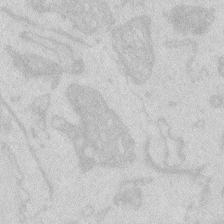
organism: Zebrafish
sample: Macrophage